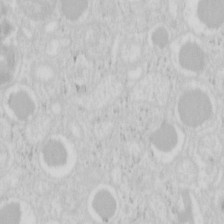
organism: Mouse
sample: Pancreas